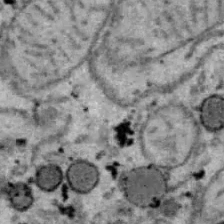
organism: Mouse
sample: Liver from an obese (ob/ob) mouse